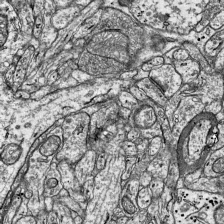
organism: Mouse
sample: Visual Cortex